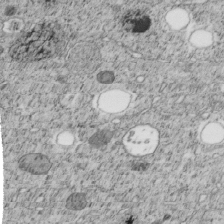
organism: C. elegans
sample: C. elegans embryo early stage